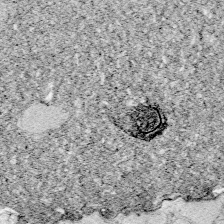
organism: Zebrafish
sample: Whole-Brain